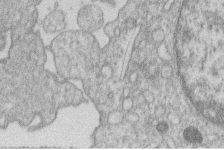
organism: Human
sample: Macrophage cells